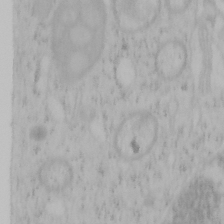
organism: Mouse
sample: OT-I killer T cells with ID8 ovarian cancer cells